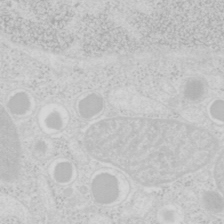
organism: Mouse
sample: Pancreas